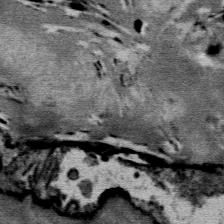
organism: Mouse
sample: Mouse Salivary gland